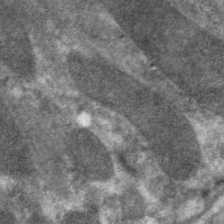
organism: C. elegans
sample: Pharynx